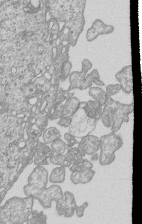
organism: Human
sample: MDA-MB-231 cells